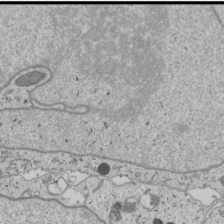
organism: Human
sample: Mitochondria in U2OS cells